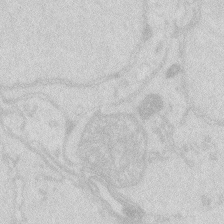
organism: Zebrafish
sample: Macrophage